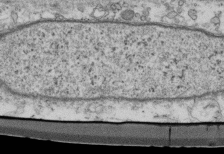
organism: Mouse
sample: Cilia; retinal pigment epithelium